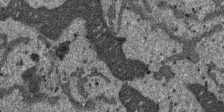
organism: Human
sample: Lung epithelial cells infected with SARS-CoV-2